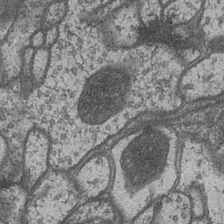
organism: Drosophila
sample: Optic medulla